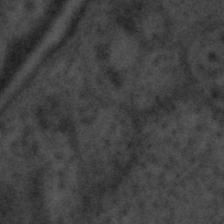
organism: Tuwongella immobilis